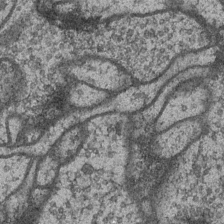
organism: Drosophila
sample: Optic medulla